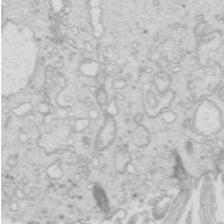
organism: Mouse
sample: Multiciliated cells